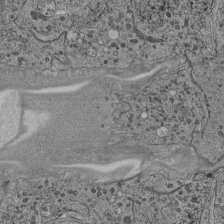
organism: C. elegans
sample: C. elegans pharynx